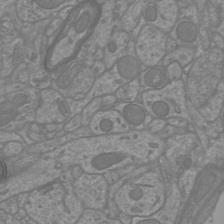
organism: Mouse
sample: Cortical neurons